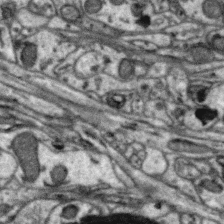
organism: Zebra finch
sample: Brain